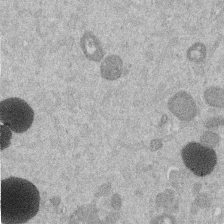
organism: Mouse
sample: Dividing mouse embryo 1 cell stage